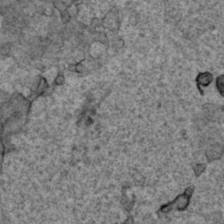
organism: Human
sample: Mitochondria in HCT116 cells